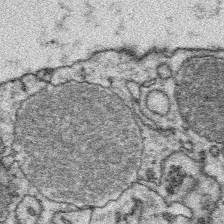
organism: Platynereis dumerilii